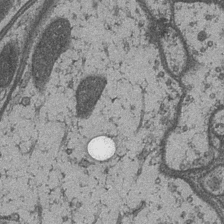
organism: Drosophila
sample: Optic medulla